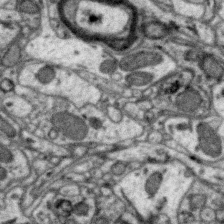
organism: Zebra finch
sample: Brain